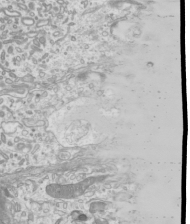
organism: Mouse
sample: Cilia; mouse epididymis